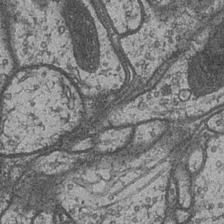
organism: Drosophila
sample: Optic medulla